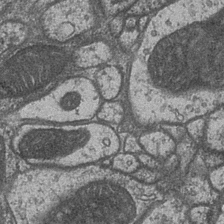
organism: Drosophila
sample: Optic medulla